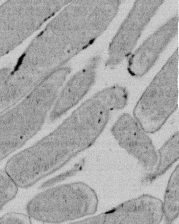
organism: E. coli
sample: Bacterial nucleoid